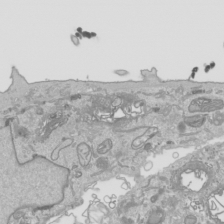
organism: Human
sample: Mitochondria in HCT116 cells